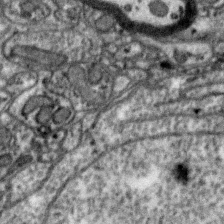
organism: Zebra finch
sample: Brain